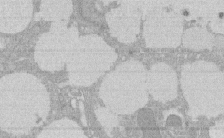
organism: Rat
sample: Salivary granule